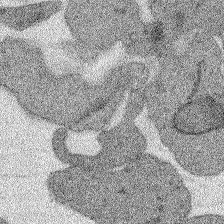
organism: Human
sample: HeLa cells